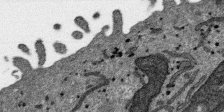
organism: Human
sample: Lung epithelial cells, uninfected (mock) control